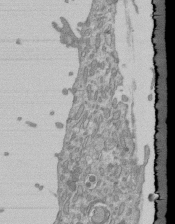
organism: Mouse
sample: ED-1 cell nuclei; centrioles